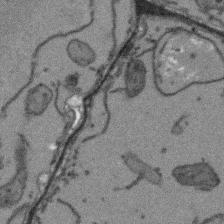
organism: Arabidopsis thaliana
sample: Root tip